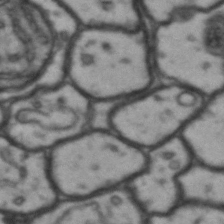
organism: Drosophila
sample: Brain